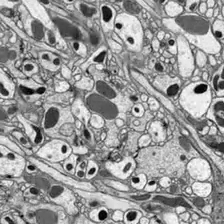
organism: Drosophila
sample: Optic lobe